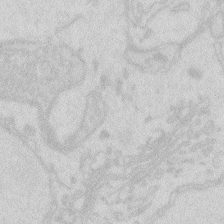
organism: Zebrafish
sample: Macrophage